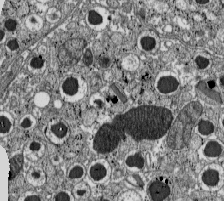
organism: C57BL Mouse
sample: Pancreatic islet